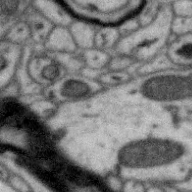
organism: Zebra finch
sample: Brain